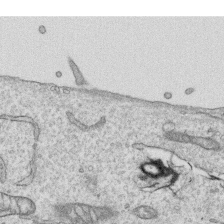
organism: Human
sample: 1205lu cells